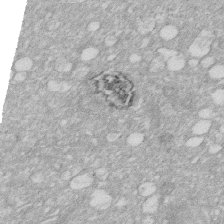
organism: Human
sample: HIV infected U937 cells